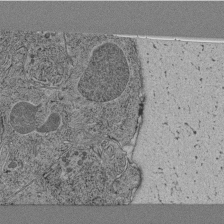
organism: C. elegans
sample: C. elegans pharynx